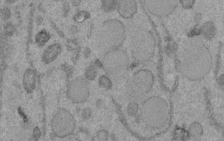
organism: C. elegans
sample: C. elegans embryo early stage